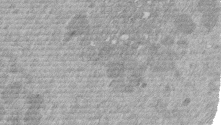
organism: Mouse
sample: Dividing mouse embryo 1 cell stage